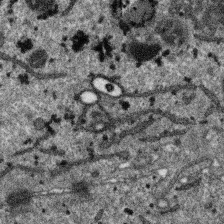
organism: Human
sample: Lung epithelial cells infected with SARS-CoV-2